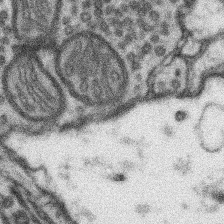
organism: Mouse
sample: Somatosensory cortex neuropil